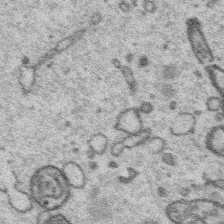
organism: Platynereis dumerilii